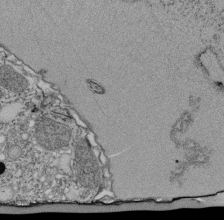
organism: Tetrahymena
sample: Cilia in tetrahymena